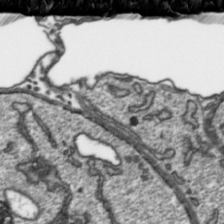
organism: Toxoplasma gondii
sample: Parasites in a vacuole inside a host cell